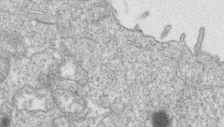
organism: Human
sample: HeLa cell HIV synapse